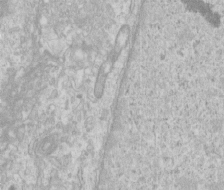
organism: Human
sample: Centriole in RPE cells